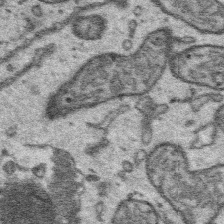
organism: Platynereis dumerilii